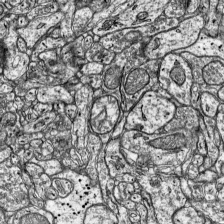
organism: Mouse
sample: Visual Cortex